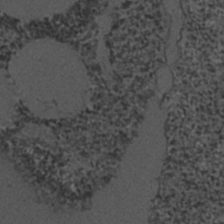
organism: C. elegans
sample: C. elegans embryo